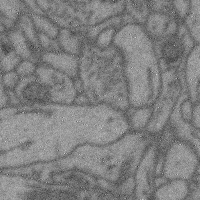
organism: Mouse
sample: Cerebral cortex